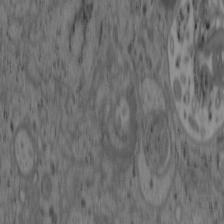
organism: Human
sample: HeLa cells